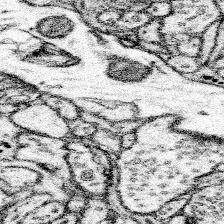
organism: Mouse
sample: Somatosensory cortex neuropil